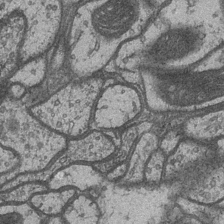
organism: Drosophila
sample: Optic medulla